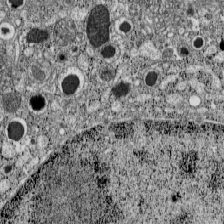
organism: C57BL Mouse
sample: Pancreatic islet